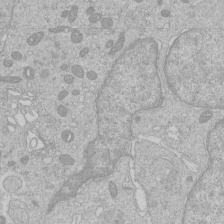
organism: Human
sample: Macrophage cells